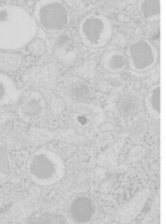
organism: Mouse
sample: Pancreas